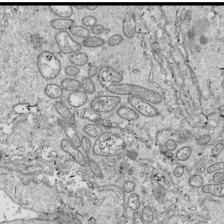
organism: Drosophila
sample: Cell division; meiosis; drosophila spermatocytes